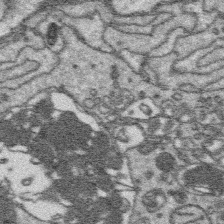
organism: Platynereis dumerilii